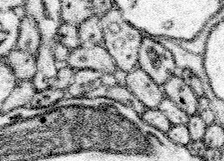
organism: Mouse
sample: Somatosensory cortex neuropil